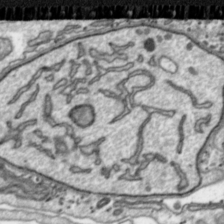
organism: Toxoplasma gondii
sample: Parasites in a vacuole inside a host cell